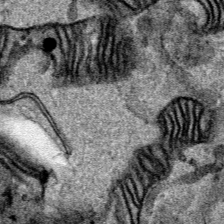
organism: Human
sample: Mitochondria in HCT116 cells